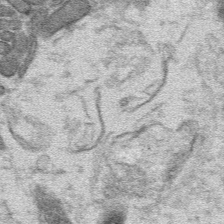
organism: Mouse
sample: Mouse hepatocytes